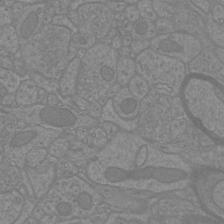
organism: Mouse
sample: Cortical neurons